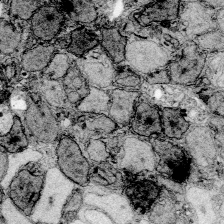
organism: Zebrafish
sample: Whole-Brain